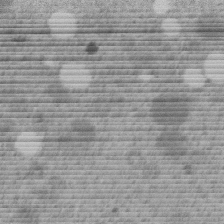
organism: C. elegans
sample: C. elegans embryo early stage